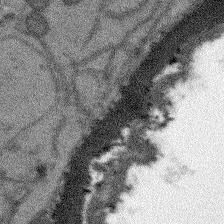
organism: Arabidopsis thaliana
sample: Root tip